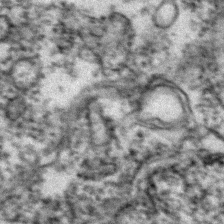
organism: Zebrafish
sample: Zebrafish embryo